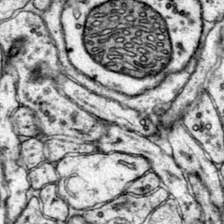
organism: Mouse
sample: Primary visual cortex